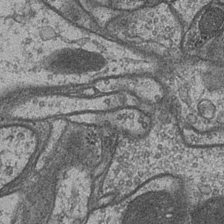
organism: Drosophila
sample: Optic medulla